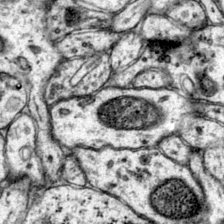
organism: Mouse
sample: Primary visual cortex